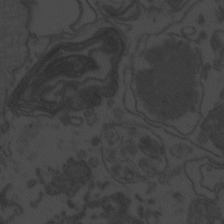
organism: Zebrafish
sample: Macrophage infected with Toxoplasma gondii